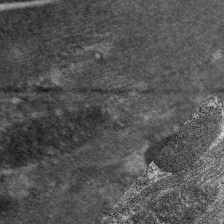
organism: C. elegans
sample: Pharynx